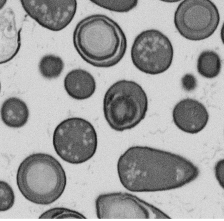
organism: B. subtilis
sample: Bacterial spore